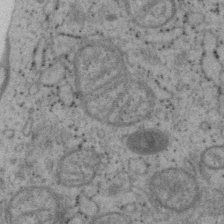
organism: Human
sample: HeLa cells